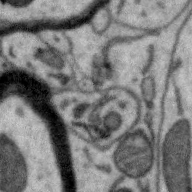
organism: Zebra finch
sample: Brain